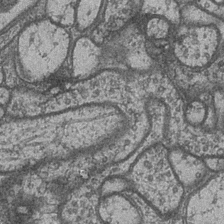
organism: Drosophila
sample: Optic medulla